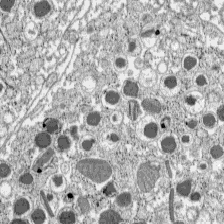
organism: C57BL Mouse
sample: Pancreatic islet